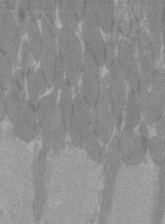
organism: C57BL Mouse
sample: Tibialis anterior muscle cell